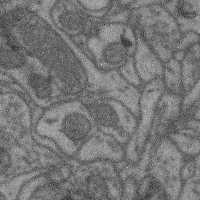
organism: Mouse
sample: Cerebral cortex